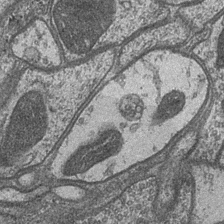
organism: Drosophila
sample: Optic medulla